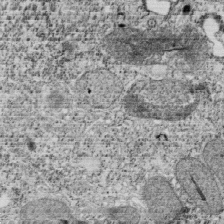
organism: Tetrahymena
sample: Cilia in tetrahymena